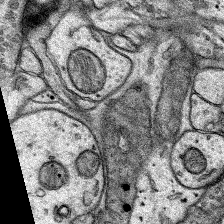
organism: Rat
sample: Hippocampus